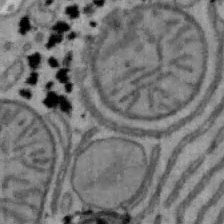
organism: Mouse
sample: Liver